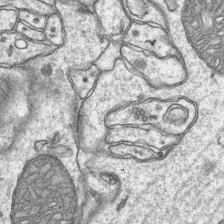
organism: Mouse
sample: CA1 Hippocampus